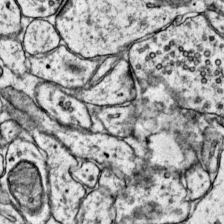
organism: Mouse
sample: Primary visual cortex